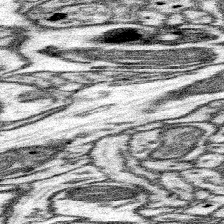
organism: Mouse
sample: Somatosensory cortex neuropil